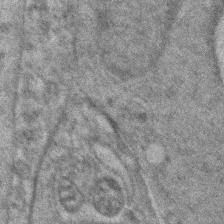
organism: Zebrafish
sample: Zebrafish embryo